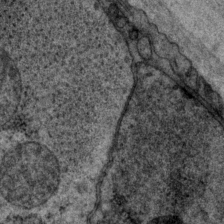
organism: P. pacificus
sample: Pharynx